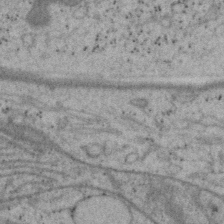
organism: Human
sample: HeLa cells